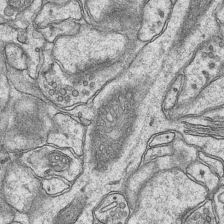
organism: Mouse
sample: CA1 Hippocampus